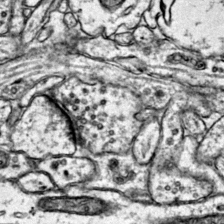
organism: Mouse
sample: Primary visual cortex